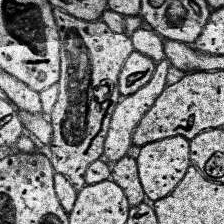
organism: Human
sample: Temporal Lobe